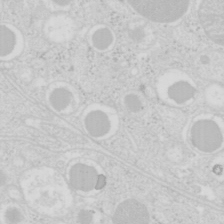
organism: Mouse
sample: Pancreas